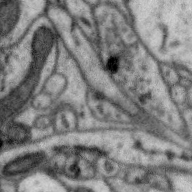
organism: Zebra finch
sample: Brain